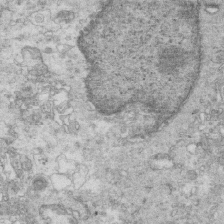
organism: Mouse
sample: Multiciliated cells